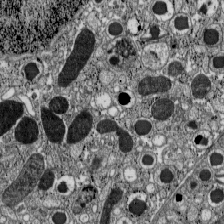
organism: C57BL Mouse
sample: Pancreatic islet